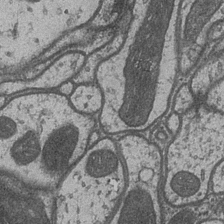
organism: Drosophila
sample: Optic medulla